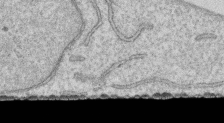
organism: Human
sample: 1205lu cells